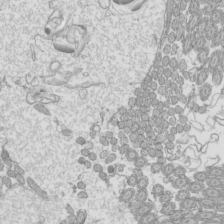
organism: Mouse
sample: Cilia; mouse epididymis